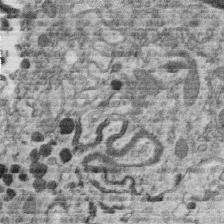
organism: C. elegans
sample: C. elegans oocyte; sperm cells